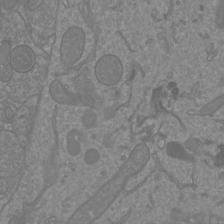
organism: Mouse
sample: Cortical neurons